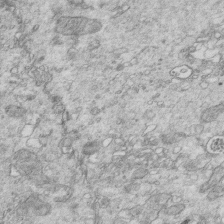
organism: Mouse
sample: Multiciliated cells